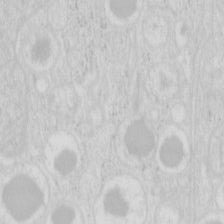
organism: Mouse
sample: Pancreas